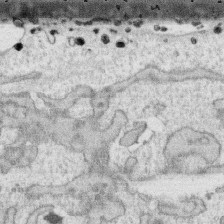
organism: Human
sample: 1205lu cells